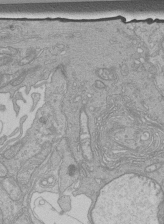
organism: Human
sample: Retinal organoid Rod and Cone cells